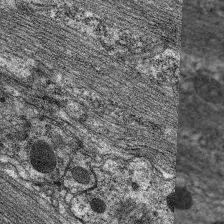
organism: C. elegans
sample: Pharynx